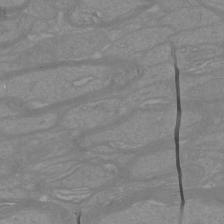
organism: Mouse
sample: Cortical neurons